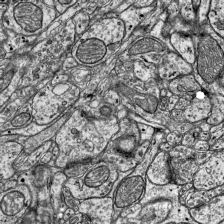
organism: Mouse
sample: Visual Cortex